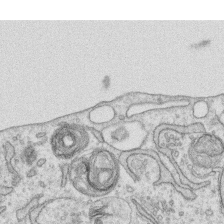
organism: Human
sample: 1205lu cells